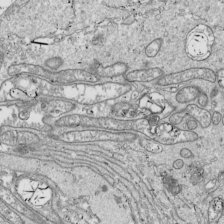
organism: Drosophila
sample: Cell division; meiosis; drosophila spermatocytes